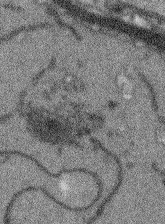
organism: Arabidopsis thaliana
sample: Root tip